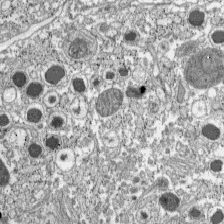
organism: C57BL Mouse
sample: Pancreatic islet